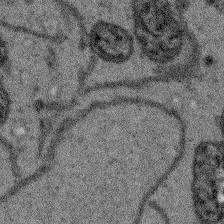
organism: Arabidopsis thaliana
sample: Root tip